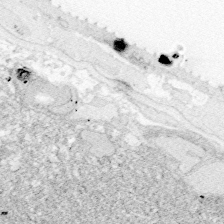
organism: Zebrafish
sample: Whole-Brain